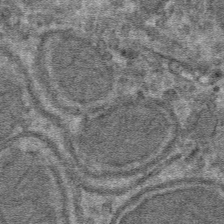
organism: Mouse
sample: Mouse hepatocytes